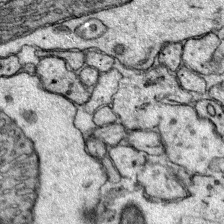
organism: Mouse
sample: Primary visual cortex